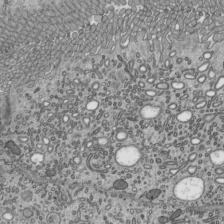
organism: Mouse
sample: Mouse epididymis efferent ductule cilia